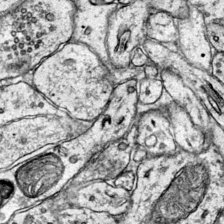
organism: Mouse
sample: Primary visual cortex